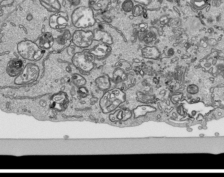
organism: Human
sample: Mitochondria in HCT116 cells